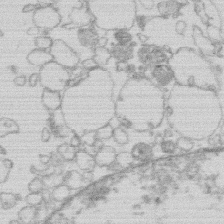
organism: Human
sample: Macrophage cells